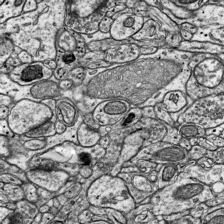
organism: Mouse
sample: Visual Cortex